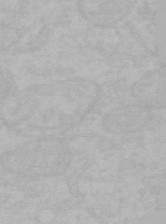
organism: Mouse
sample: Choroid plexus